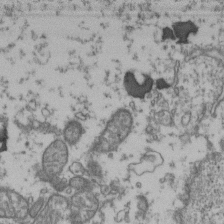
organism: Human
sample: Activated Jurkat CD4+ T cells